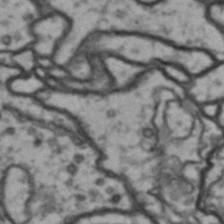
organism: Drosophila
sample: Brain